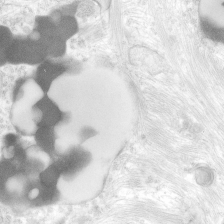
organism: Human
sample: Neocortex